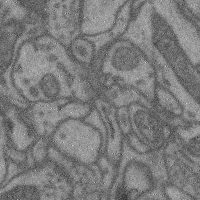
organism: Mouse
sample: Cerebral cortex